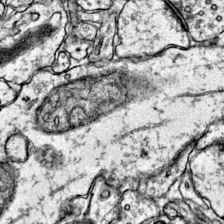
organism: Mouse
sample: Primary visual cortex